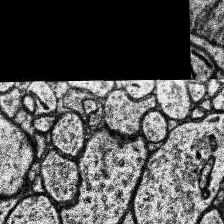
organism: Human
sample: Temporal Lobe